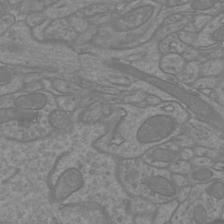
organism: Mouse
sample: Cortical neurons